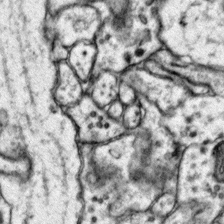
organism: Mouse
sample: Primary visual cortex